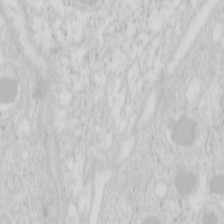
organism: Mouse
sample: Pancreas